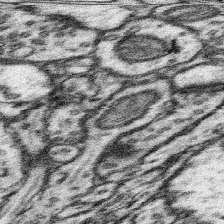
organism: Mouse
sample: Somatosensory cortex neuropil